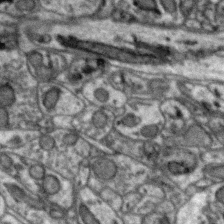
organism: Zebra finch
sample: Brain